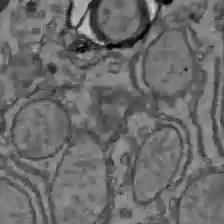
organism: C57BL Mouse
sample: Liver